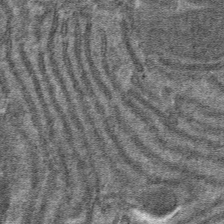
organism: Mouse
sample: Mouse hepatocytes